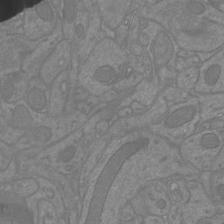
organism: Mouse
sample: Cortical neurons